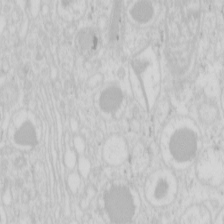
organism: Mouse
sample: Pancreas